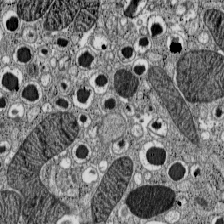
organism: C57BL Mouse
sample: Pancreatic islet